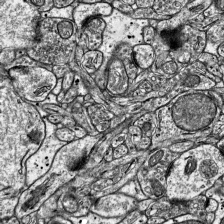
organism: Mouse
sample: Visual Cortex